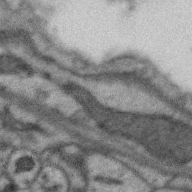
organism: Zebra finch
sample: Brain